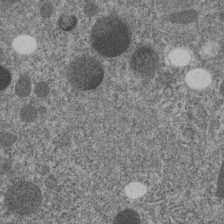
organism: C. elegans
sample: C. elegans embryo early stage